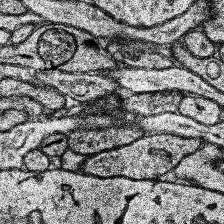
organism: Human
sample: Temporal Lobe